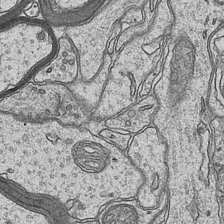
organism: Mouse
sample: CA1 Hippocampus